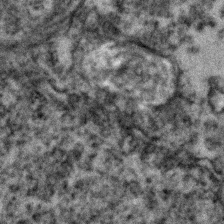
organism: Zebrafish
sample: Zebrafish embryo